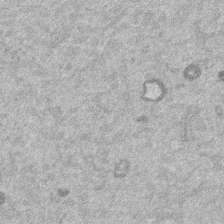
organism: Mouse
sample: Dividing mouse embryo 1 cell stage